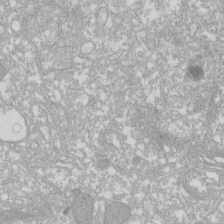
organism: Xenopus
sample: Cilia; centrioles in frog embryo cells